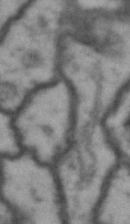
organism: Drosophila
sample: Brain